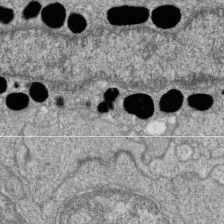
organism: Zebrafish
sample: Cilia; retinal pigment epithelium